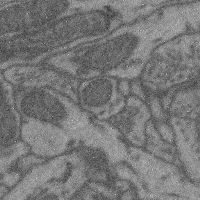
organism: Mouse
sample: Cerebral cortex